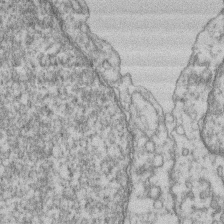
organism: Mouse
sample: T cell stromal cell synapse